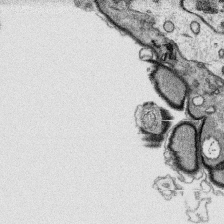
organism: Platynereis dumerilii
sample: Parapodia